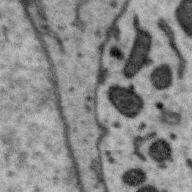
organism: Zebra finch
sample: Brain